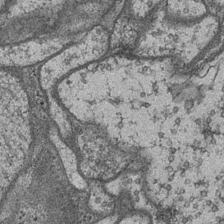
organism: Drosophila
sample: Optic medulla